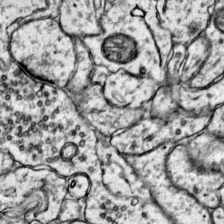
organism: Mouse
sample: Primary visual cortex